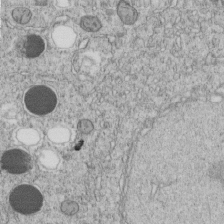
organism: C. elegans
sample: C. elegans embryo early stage